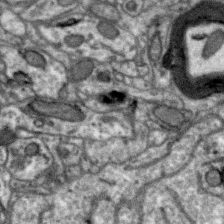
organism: Zebra finch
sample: Brain